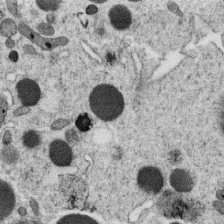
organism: C. elegans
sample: C. elegans oocyte; sperm cells